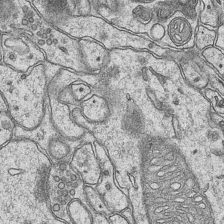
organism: Mouse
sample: CA1 Hippocampus